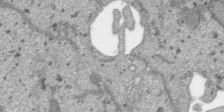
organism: Human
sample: Lung epithelial cells infected with SARS-CoV-2